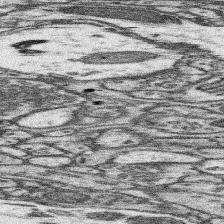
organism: Mouse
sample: Somatosensory cortex neuropil